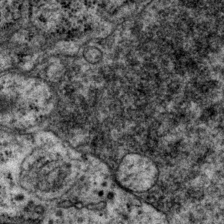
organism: P. pacificus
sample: Pharynx